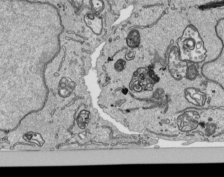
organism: Human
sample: Mitochondria in HCT116 cells